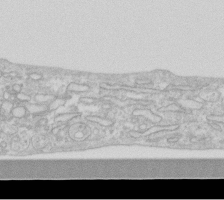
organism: Human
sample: Fibroblast cells